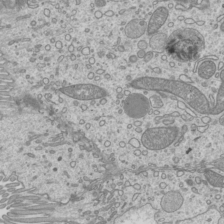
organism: Mouse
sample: Cilia; mouse epididymis